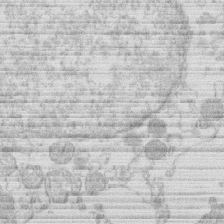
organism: Human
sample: Macrophage cells